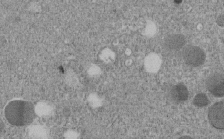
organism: C. elegans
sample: C. elegans embryo early stage